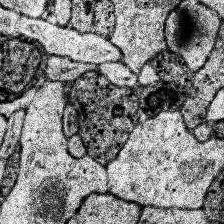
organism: Human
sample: Temporal Lobe